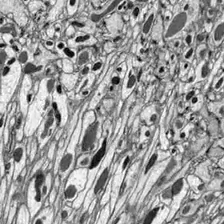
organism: Drosophila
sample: Optic lobe